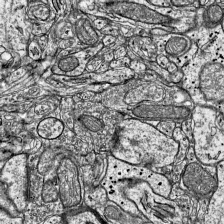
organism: Mouse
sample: Visual Cortex